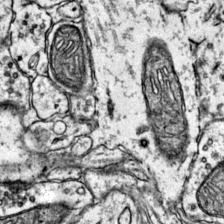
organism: Mouse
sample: Primary visual cortex